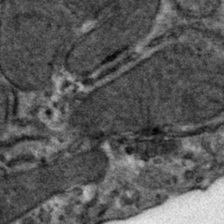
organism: Mouse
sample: Mouse hepatocytes